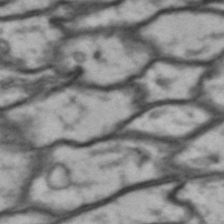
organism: Drosophila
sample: Brain